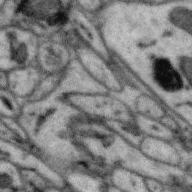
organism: Zebra finch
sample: Brain